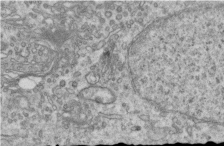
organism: Human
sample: Centriole in RPE cells